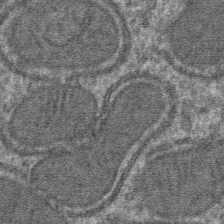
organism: Mouse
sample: Mouse hepatocytes